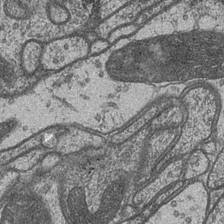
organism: Drosophila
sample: Optic medulla